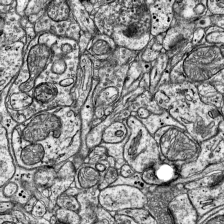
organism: Mouse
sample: Visual Cortex